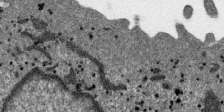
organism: Human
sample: Lung epithelial cells, uninfected (mock) control